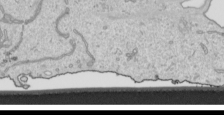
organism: Human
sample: Mitochondria in HCT116 cells